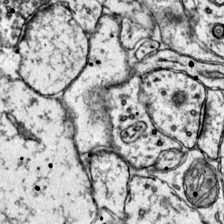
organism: Mouse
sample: Primary visual cortex